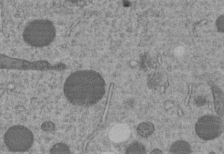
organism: C. elegans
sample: C. elegans embryo early stage